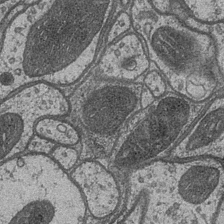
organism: Drosophila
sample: Optic medulla